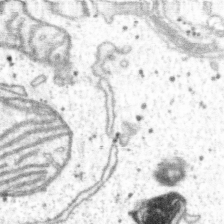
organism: Human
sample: HeLa cells